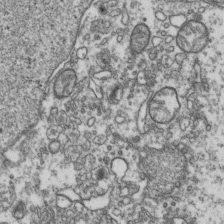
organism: Human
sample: Activated Jurkat CD4+ T cells